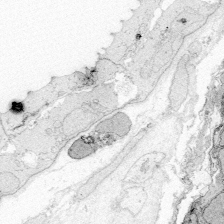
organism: Zebrafish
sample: Whole-Brain